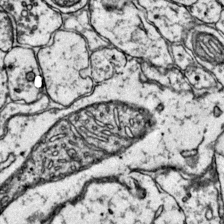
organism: Mouse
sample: Primary visual cortex